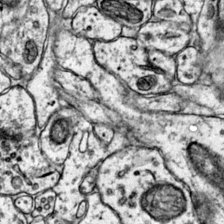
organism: Mouse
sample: Primary visual cortex